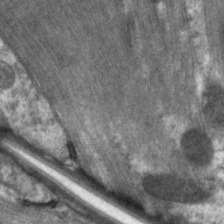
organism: C. elegans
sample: Pharynx